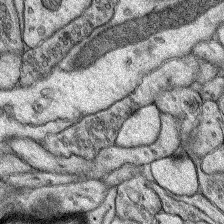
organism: Rat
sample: Hippocampus